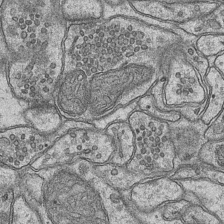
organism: Mouse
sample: CA1 Hippocampus